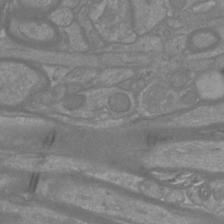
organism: Mouse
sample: Cortical neurons